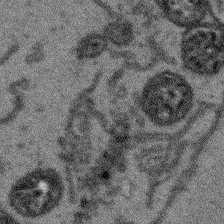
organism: Arabidopsis thaliana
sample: Root tip